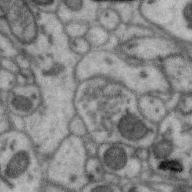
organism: Zebra finch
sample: Brain